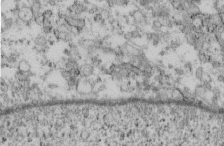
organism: Mouse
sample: Cilia; retinal pigment epithelium